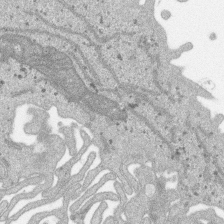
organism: Human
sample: Lung epithelial cells infected with SARS-CoV-2